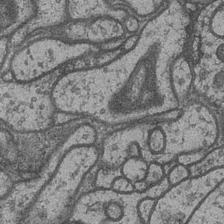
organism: Drosophila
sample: Optic medulla